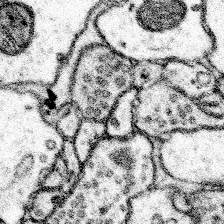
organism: Mouse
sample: Somatosensory cortex neuropil